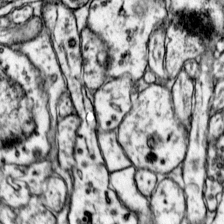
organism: Mouse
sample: Primary visual cortex